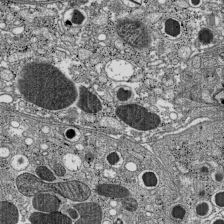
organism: C57BL Mouse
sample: Pancreatic islet